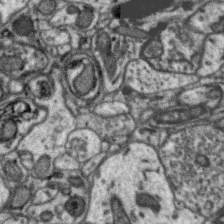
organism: Zebra finch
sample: Brain